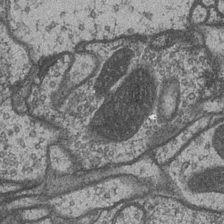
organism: Drosophila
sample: Optic medulla